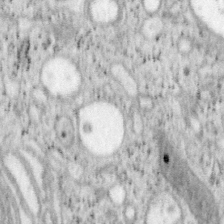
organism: Mouse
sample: OT-I killer T cells with ID8 ovarian cancer cells